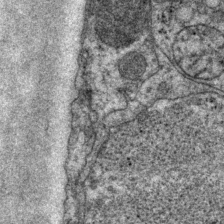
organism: P. pacificus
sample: Pharynx